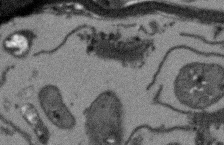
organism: Arabidopsis thaliana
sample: Root tip